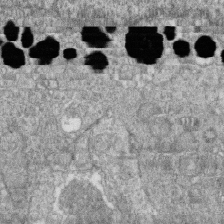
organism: Zebrafish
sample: Cilia; retinal pigment epithelium